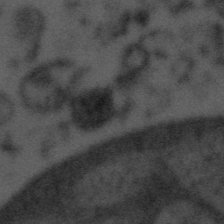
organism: Tuwongella immobilis